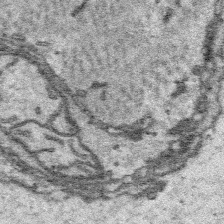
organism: Platynereis dumerilii